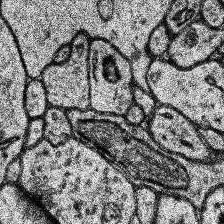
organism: Human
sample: Temporal Lobe